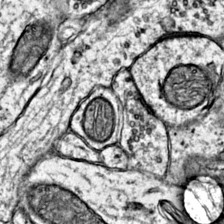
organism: Mouse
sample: Primary visual cortex